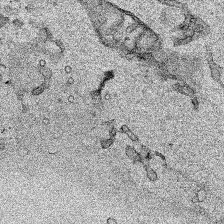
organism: Human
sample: Mitochondria in HCT116 cells